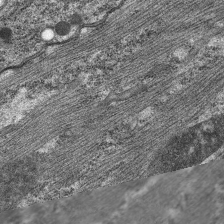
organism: C. elegans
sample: Pharynx